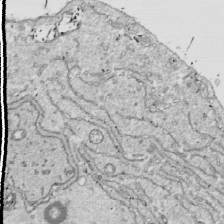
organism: Drosophila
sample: Cell division; meiosis; drosophila spermatocytes